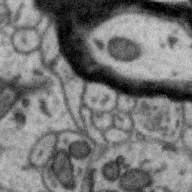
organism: Zebra finch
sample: Brain